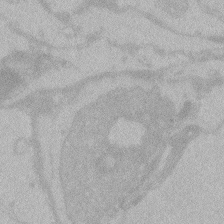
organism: Zebrafish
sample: Macrophage infected with Toxoplasma gondii